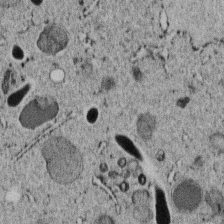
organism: C. elegans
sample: C. elegans embryo early stage